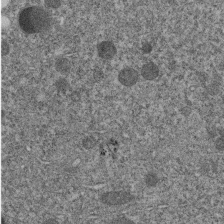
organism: C. elegans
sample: C. elegans embryo early stage